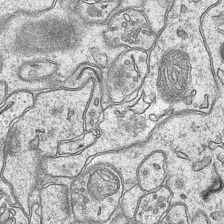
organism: Mouse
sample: CA1 Hippocampus